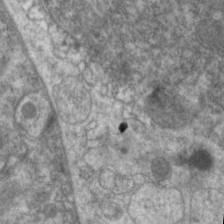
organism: C. elegans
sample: Pharynx